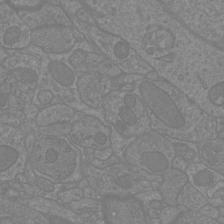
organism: Mouse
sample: Cortical neurons